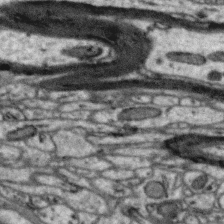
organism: Zebra finch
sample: Brain